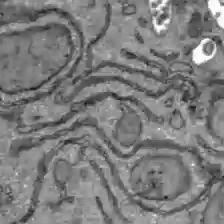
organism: C57BL Mouse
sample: Liver